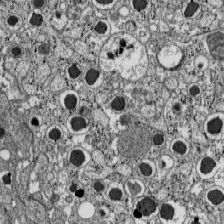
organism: C57BL Mouse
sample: Pancreatic islet